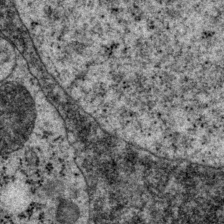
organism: P. pacificus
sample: Pharynx